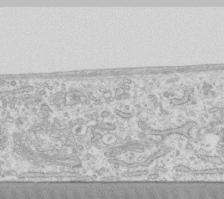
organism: Human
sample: Fibroblast cells